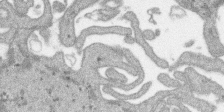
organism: Human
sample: Lung epithelial cells infected with SARS-CoV-2